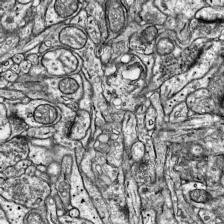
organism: Mouse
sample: Visual Cortex